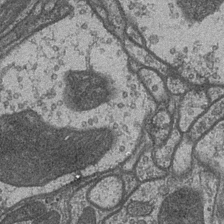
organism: Drosophila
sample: Optic medulla